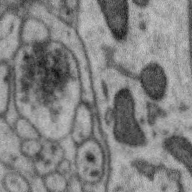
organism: Zebra finch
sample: Brain